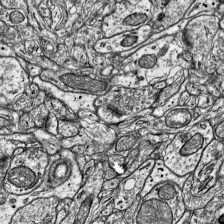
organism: Mouse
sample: Visual Cortex